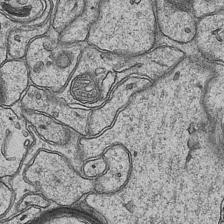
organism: Mouse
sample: CA1 Hippocampus